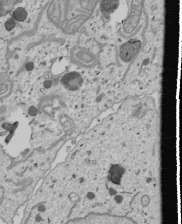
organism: Human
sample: Mitochondria in U2OS cells